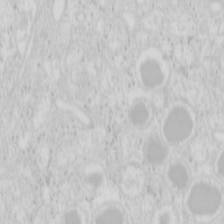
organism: Mouse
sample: Pancreas